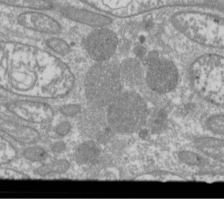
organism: Drosophila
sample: Cell division; meiosis; drosophila spermatocytes